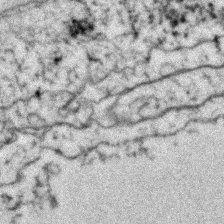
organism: Zebrafish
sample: Zebrafish embryo